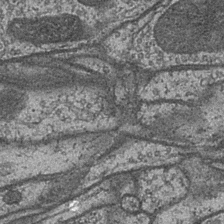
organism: Drosophila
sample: Optic medulla